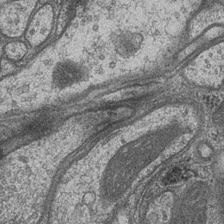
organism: Drosophila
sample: Optic medulla